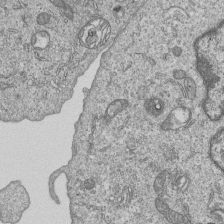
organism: Human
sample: MDA-MB-231 cells